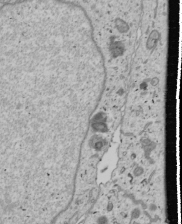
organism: Human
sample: Mitochondria in U2OS cells